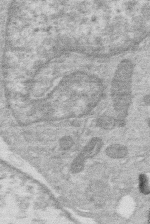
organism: Human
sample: Macrophage cells